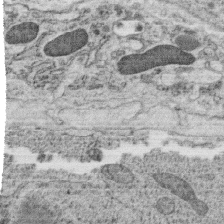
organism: C. elegans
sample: C. elegans oocyte; sperm cells